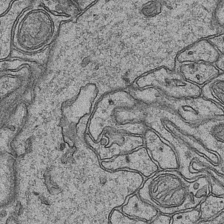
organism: Mouse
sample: CA1 Hippocampus